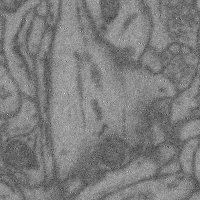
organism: Mouse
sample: Cerebral cortex